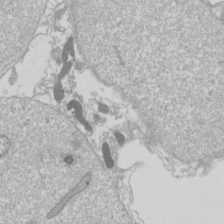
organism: Drosophila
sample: Cell division; meiosis; drosophila spermatocytes